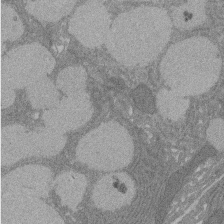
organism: Rat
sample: Salivary granule